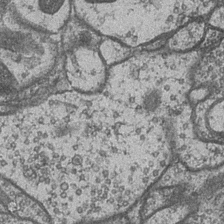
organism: Drosophila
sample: Optic medulla